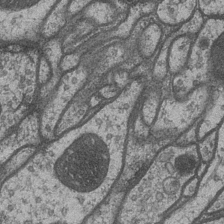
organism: Drosophila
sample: Optic medulla